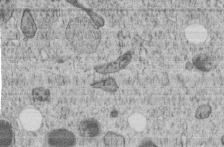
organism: C. elegans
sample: C. elegans embryo early stage